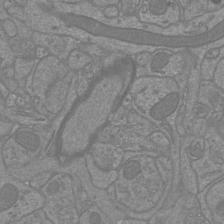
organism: Mouse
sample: Cortical neurons